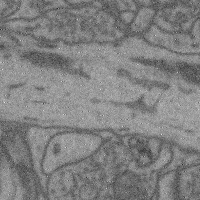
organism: Mouse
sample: Cerebral cortex